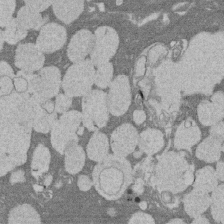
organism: Rat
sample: Salivary granule